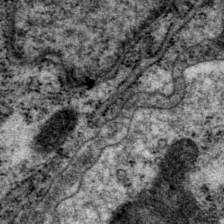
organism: P. pacificus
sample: Pharynx